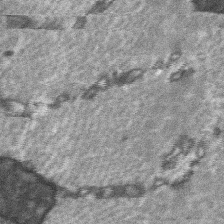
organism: C57BL Mouse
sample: Soleus